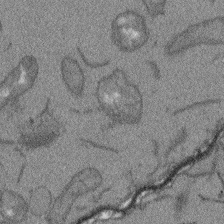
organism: Arabidopsis thaliana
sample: Root tip